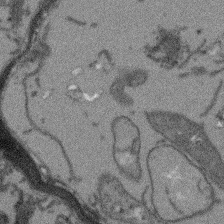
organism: Arabidopsis thaliana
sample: Root tip